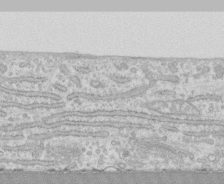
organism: Human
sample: CRL-1474